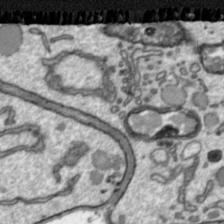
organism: Toxoplasma gondii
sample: Parasites in a vacuole inside a host cell